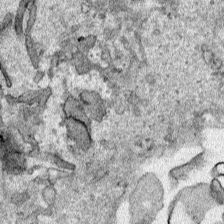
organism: Human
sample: Mitochondria in HCT116 cells